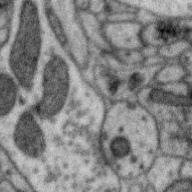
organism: Zebra finch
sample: Brain